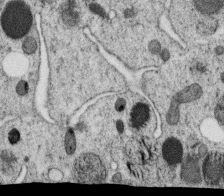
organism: C. elegans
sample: C. elegans oocyte; sperm cells